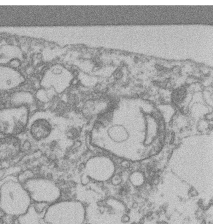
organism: Mouse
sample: T cell stromal cell synapse